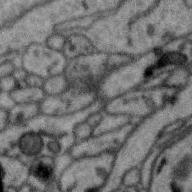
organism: Zebra finch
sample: Brain